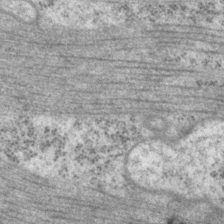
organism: P. pacificus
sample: Pharynx